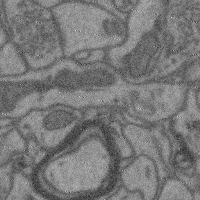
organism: Mouse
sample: Cerebral cortex